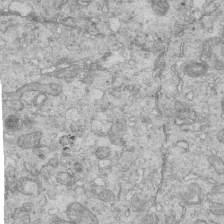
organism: Mouse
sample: Multiciliated cells